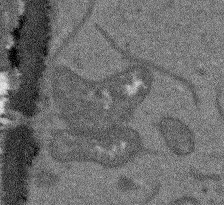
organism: Arabidopsis thaliana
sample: Root tip